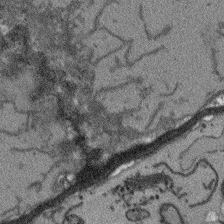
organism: Arabidopsis thaliana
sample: Root tip